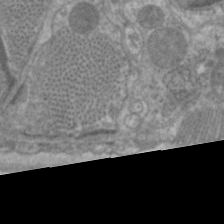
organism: C. elegans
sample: Pharynx